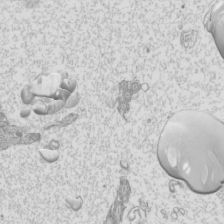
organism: Mouse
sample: Cilia; mouse epididymis